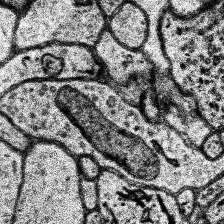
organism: Human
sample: Temporal Lobe